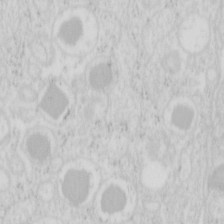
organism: Mouse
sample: Pancreas